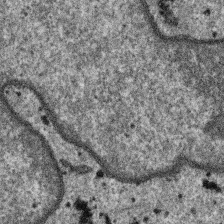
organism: Human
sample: Lung epithelial cells infected with SARS-CoV-2